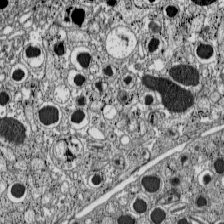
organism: C57BL Mouse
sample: Pancreatic islet